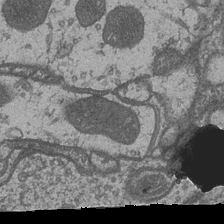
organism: Drosophila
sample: Optic medulla